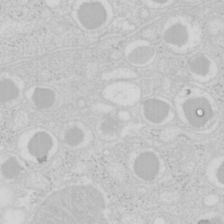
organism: Mouse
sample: Pancreas